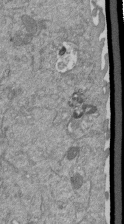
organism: Mouse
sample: ED-1 cell nuclei; centrioles